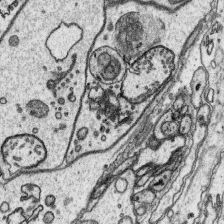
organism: Platynereis dumerilii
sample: Parapodia